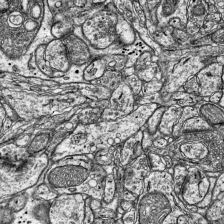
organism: Mouse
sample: Visual Cortex